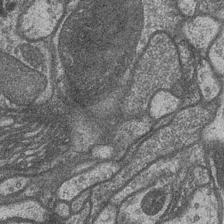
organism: Drosophila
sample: Optic medulla